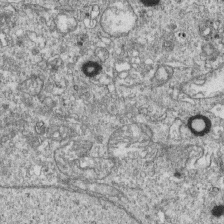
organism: Human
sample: HeLa cell HIV synapse